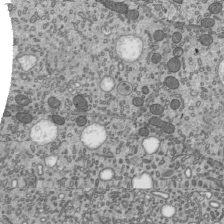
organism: Mouse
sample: Mouse epididymis efferent ductule cilia